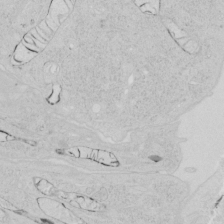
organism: Human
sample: Mitochondria in HCT116 cells